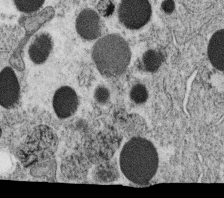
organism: C. elegans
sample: C. elegans oocyte; sperm cells